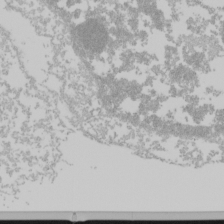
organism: Mouse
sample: Cancer cell death in ED-1 cells